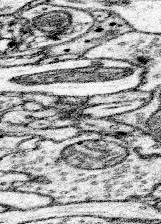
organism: Mouse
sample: Somatosensory cortex neuropil